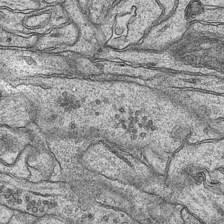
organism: Mouse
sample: CA1 Hippocampus